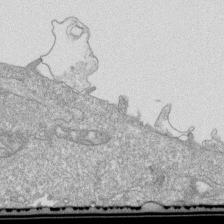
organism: Human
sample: HeLa cell HIV synapse